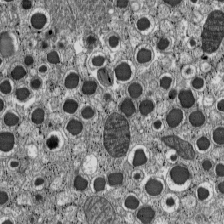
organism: C57BL Mouse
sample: Pancreatic islet